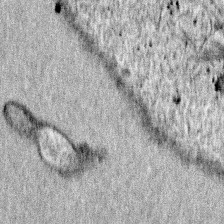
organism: Human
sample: HeLa cells